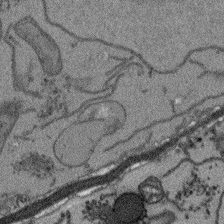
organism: Arabidopsis thaliana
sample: Root tip